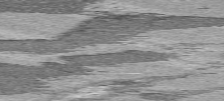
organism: C57BL Mouse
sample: Heart